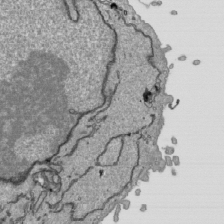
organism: Human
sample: Mitochondria in HCT116 cells